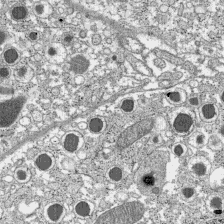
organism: C57BL Mouse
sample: Pancreatic islet